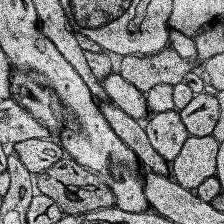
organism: Human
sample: Temporal Lobe